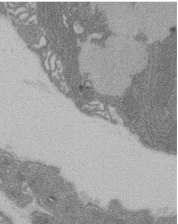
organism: Rat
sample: Salivary granule